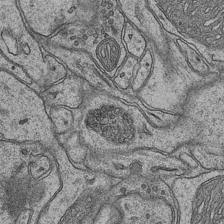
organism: Mouse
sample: CA1 Hippocampus